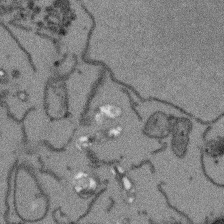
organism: Arabidopsis thaliana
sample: Root tip